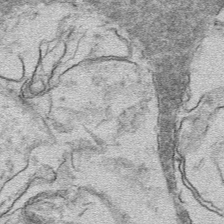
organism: Mouse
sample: Mouse hepatocytes